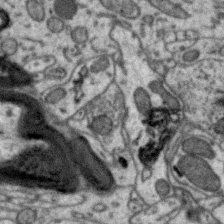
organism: Zebra finch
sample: Brain